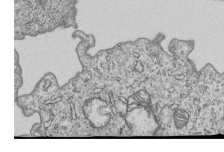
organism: Human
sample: MDA-MB-231 cells